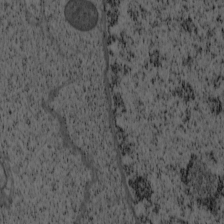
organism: African green monkey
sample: COS-7 cells